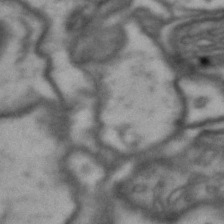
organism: Drosophila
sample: Brain